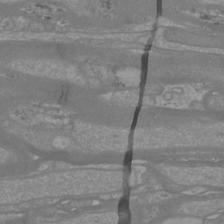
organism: Mouse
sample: Cortical neurons